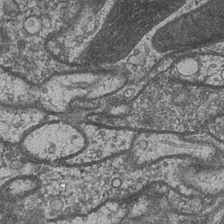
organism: Drosophila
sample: Optic medulla